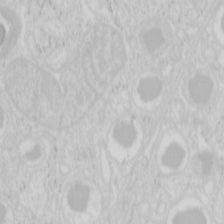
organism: Mouse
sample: Pancreas